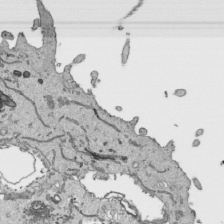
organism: Human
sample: Mitochondria in HCT116 cells